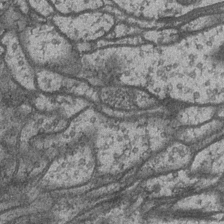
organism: Drosophila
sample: Optic medulla